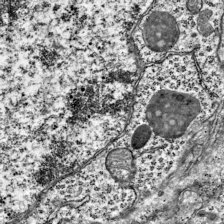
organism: Mouse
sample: Visual Cortex